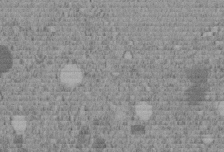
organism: C. elegans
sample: C. elegans embryo early stage